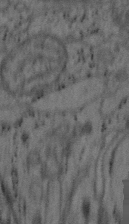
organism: Human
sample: HeLa cells